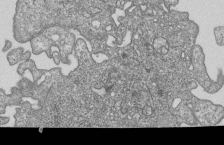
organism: Human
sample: MDA-MB-231 cells